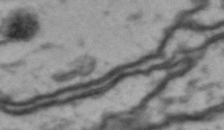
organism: Drosophila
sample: Brain